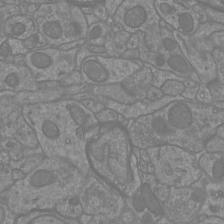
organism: Mouse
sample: Cortical neurons